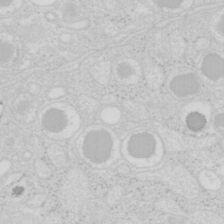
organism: Mouse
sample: Pancreas